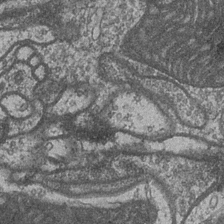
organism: Drosophila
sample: Optic medulla